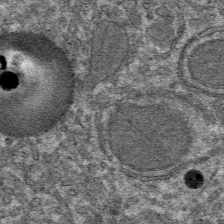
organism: Mouse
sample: Mouse hepatocytes